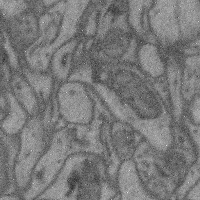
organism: Mouse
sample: Cerebral cortex